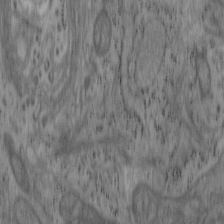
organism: Human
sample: HeLa cells